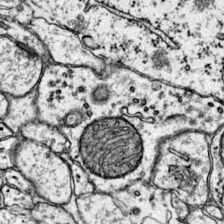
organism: Mouse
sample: Primary visual cortex